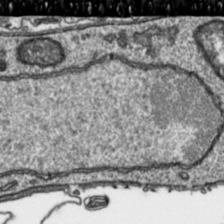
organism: Toxoplasma gondii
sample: Parasites in a vacuole inside a host cell